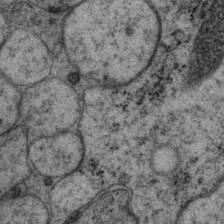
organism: P. pacificus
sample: Pharynx